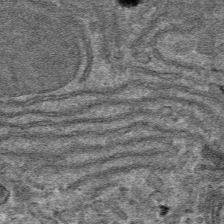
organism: Mouse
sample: Mouse hepatocytes